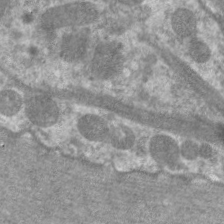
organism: C. elegans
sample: Pharynx